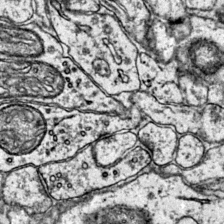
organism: Mouse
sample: Primary visual cortex